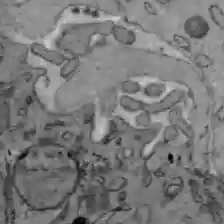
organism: C57BL Mouse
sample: Liver